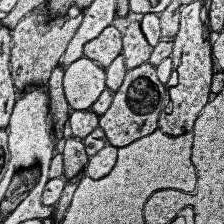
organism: Human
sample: Temporal Lobe